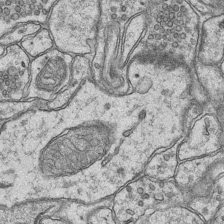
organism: Mouse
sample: CA1 Hippocampus